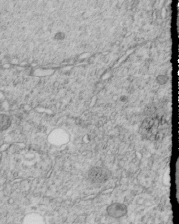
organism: C. elegans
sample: C. elegans embryo early stage